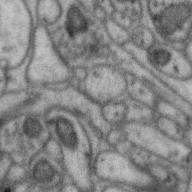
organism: Zebra finch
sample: Brain